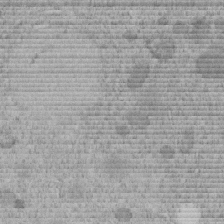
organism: C. elegans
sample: C. elegans embryo early stage